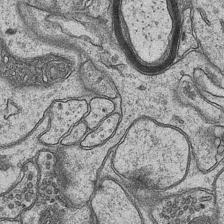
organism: Mouse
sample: CA1 Hippocampus